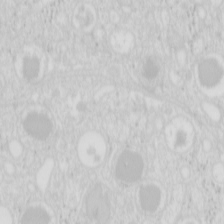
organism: Mouse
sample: Pancreas